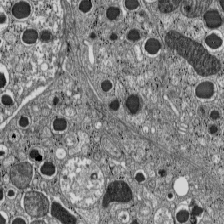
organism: C57BL Mouse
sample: Pancreatic islet